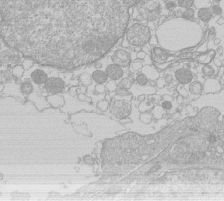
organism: Human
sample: Macrophage cells